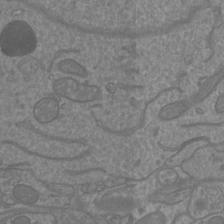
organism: Mouse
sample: Cortical neurons